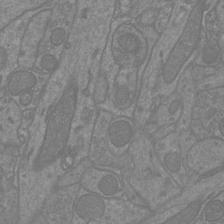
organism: Mouse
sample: Cortical neurons